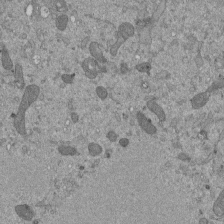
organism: Mouse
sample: ED-1 cell nuclei; centrioles